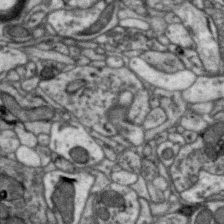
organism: Zebra finch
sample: Brain